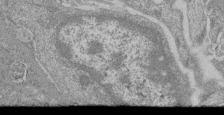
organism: Mouse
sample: Glomerulus